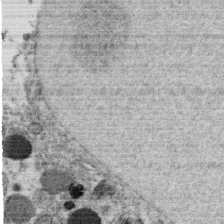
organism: C. elegans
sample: C. elegans oocyte; sperm cells